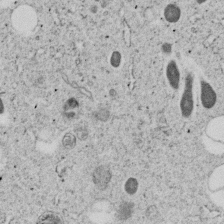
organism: C. elegans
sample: C. elegans embryo early stage